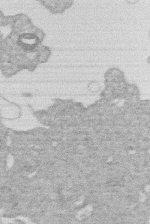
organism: Human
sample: Macrophage cells